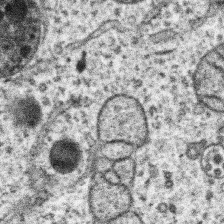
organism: Human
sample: HeLa cells